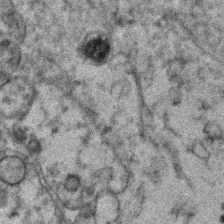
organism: Human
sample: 1205lu cells